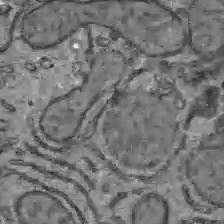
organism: C57BL Mouse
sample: Liver